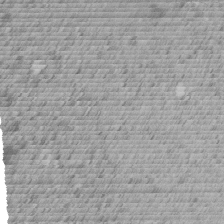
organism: C. elegans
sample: C. elegans embryo early stage